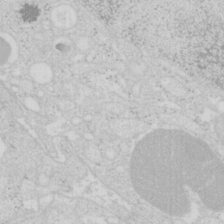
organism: Mouse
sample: Pancreas